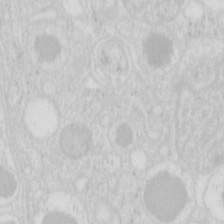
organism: Mouse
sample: Pancreas